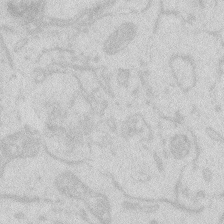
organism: Zebrafish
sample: Macrophage